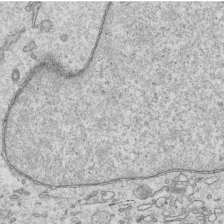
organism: Human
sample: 1205lu cells